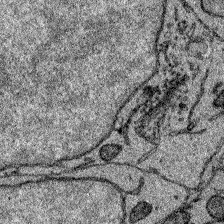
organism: Zebrafish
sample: Larval olfactory bulb